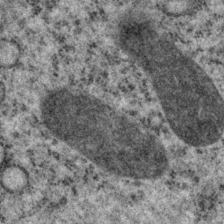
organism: P. pacificus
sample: Pharynx